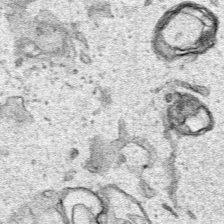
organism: Human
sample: Mitochondria in HCT116 cells